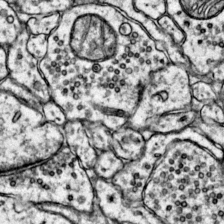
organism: Mouse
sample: Primary visual cortex